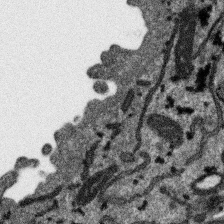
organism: Human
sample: Lung epithelial cells infected with SARS-CoV-2